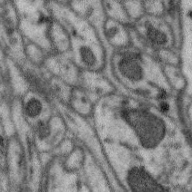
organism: Zebra finch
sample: Brain